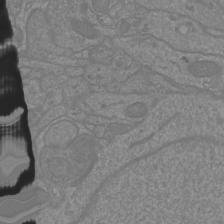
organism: Mouse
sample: Cortical neurons